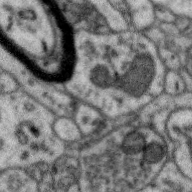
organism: Zebra finch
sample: Brain